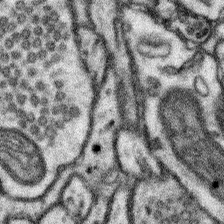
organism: Mouse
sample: Somatosensory cortex neuropil